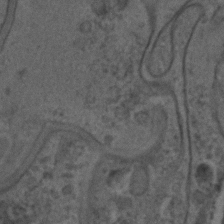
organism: C. elegans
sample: C. elegans embryo